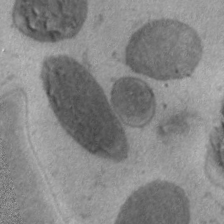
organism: C. elegans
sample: Pharynx